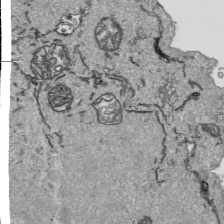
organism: Human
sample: Mitochondria in HCT116 cells